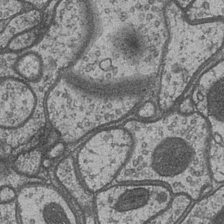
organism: Drosophila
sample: Optic medulla